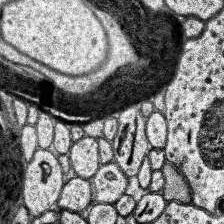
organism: Human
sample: Temporal Lobe